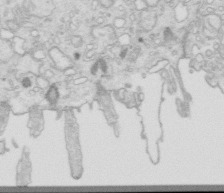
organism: Mouse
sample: Multiciliated cells